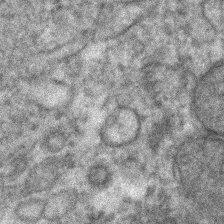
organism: Human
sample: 1205lu cells